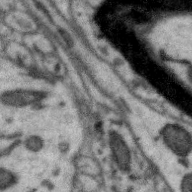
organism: Zebra finch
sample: Brain